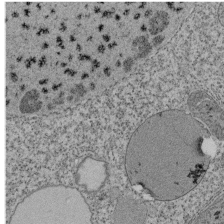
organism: Tetrahymena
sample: Cilia in tetrahymena